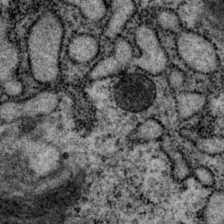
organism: P. pacificus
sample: Pharynx